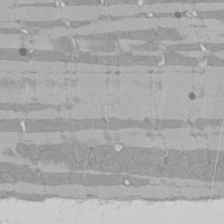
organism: Rat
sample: Left ventricle